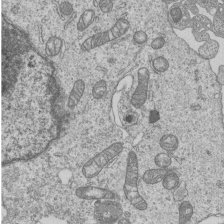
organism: Human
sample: MDA-MB-231 cells